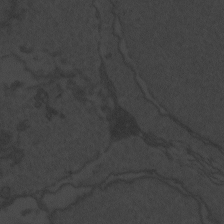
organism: Zebrafish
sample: Macrophage infected with Toxoplasma gondii